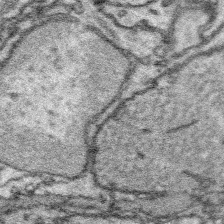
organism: Platynereis dumerilii